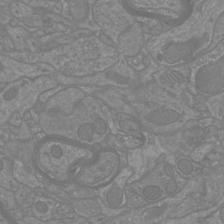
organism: Mouse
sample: Cortical neurons